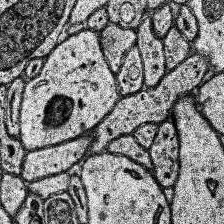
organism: Human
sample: Temporal Lobe